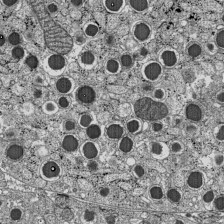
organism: C57BL Mouse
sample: Pancreatic islet